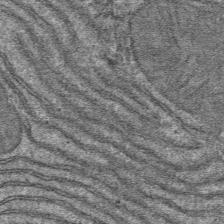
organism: Mouse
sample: Mouse hepatocytes